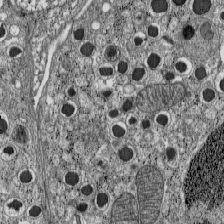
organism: C57BL Mouse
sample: Pancreatic islet